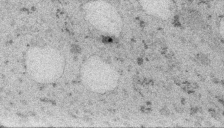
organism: Embia sp.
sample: Silk gland